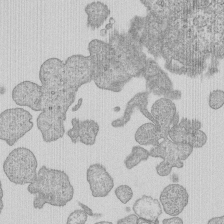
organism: Human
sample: MDA-MB-231 cells